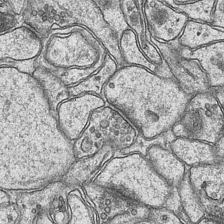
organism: Mouse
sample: CA1 Hippocampus